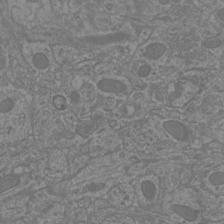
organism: Mouse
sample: Cortical neurons